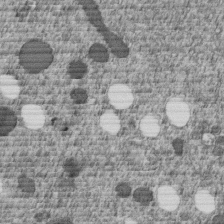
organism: C. elegans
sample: C. elegans embryo early stage